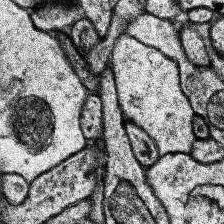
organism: Human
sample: Temporal Lobe